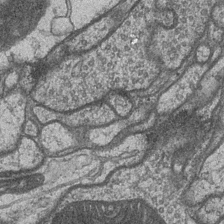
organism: Drosophila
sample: Optic medulla